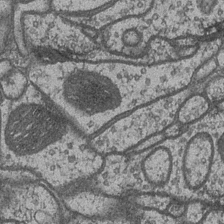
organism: Drosophila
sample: Optic medulla